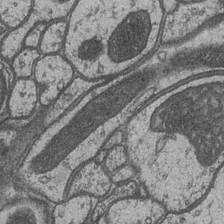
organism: Drosophila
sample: Optic medulla